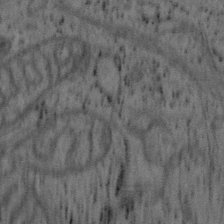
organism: Human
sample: HeLa cells